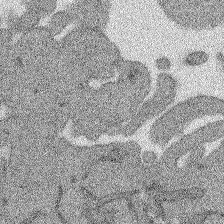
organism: Human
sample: HeLa cells